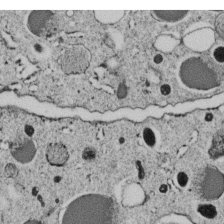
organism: C. elegans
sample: C. elegans embryo early stage